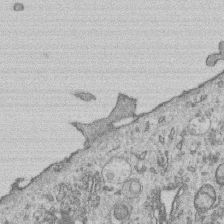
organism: Human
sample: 1205lu cells